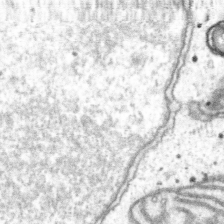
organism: Human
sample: HeLa cells